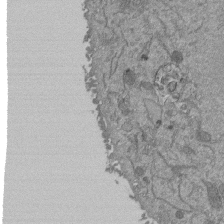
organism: Mouse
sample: ED-1 cell nuclei; centrioles